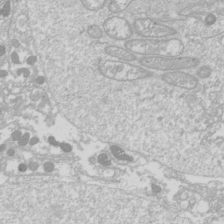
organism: Drosophila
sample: Cell division; meiosis; drosophila spermatocytes